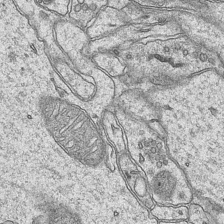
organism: Mouse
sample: CA1 Hippocampus